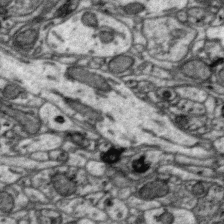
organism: Zebra finch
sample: Brain